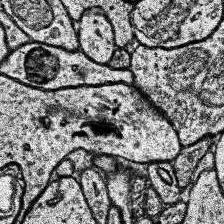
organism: Human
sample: Temporal Lobe